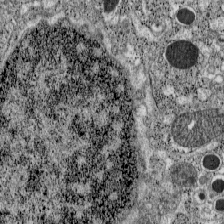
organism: C57BL Mouse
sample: Pancreatic islet